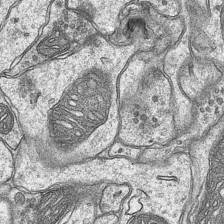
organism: Mouse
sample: CA1 Hippocampus